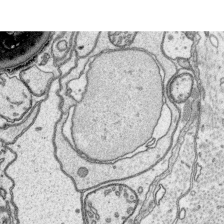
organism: Platynereis dumerilii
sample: Parapodia